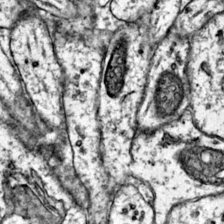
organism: Mouse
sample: Primary visual cortex